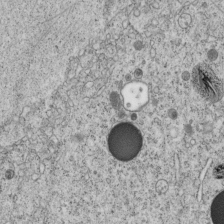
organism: C. elegans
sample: C. elegans embryo early stage